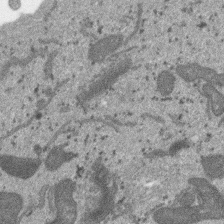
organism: Human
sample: Lung epithelial cells infected with SARS-CoV-2